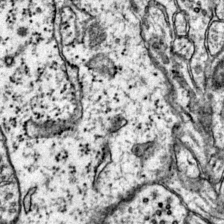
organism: Mouse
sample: Primary visual cortex